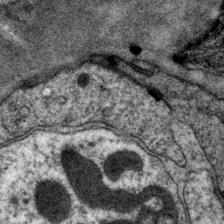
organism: P. pacificus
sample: Pharynx